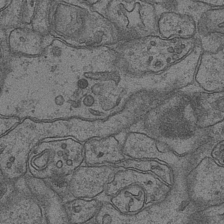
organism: Mouse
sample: CA1 Hippocampus